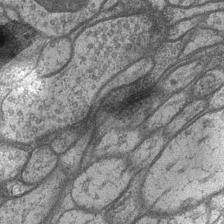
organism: Drosophila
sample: Optic medulla